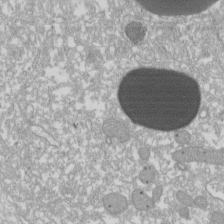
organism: Xenopus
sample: Cilia; centrioles in frog embryo cells